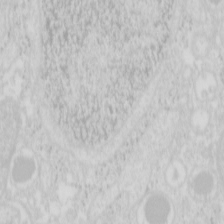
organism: Mouse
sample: Pancreas